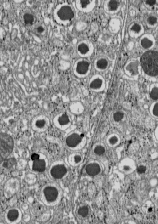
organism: C57BL Mouse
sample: Pancreatic islet